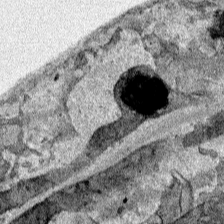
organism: Human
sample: Mitochondria in HCT116 cells